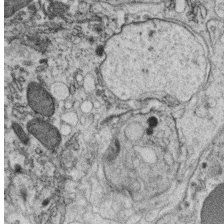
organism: C. elegans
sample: C. elegans oocyte; sperm cells